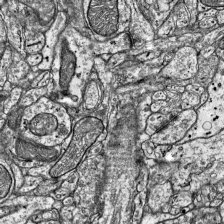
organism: Mouse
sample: Visual Cortex